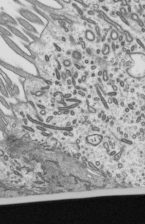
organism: Mouse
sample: Mouse epididymis efferent ductule cilia